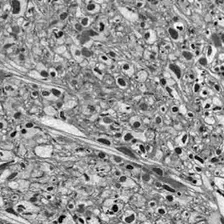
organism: Drosophila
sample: Optic lobe